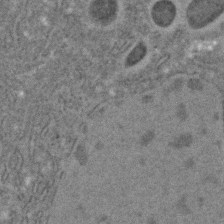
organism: C. elegans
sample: C. elegans embryo